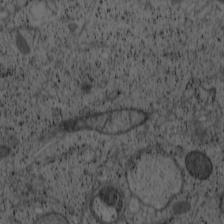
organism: African green monkey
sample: COS-7 cells